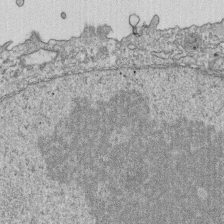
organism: Human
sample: HeLa cell HIV synapse